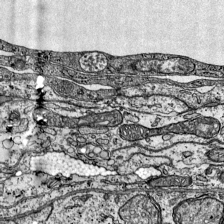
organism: Mouse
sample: Visual Cortex